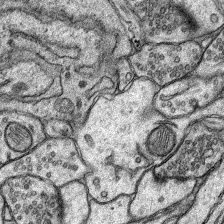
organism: Rat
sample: Hippocampus